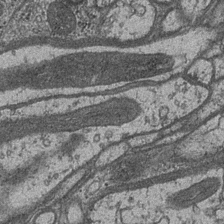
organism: Drosophila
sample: Optic medulla